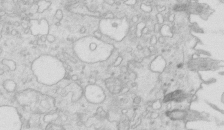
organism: Mouse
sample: Multiciliated cells